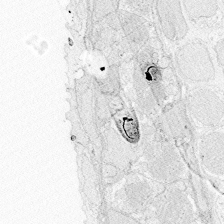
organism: Zebrafish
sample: Whole-Brain